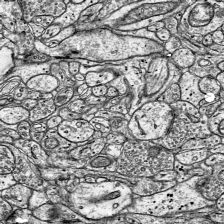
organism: Mouse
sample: Visual Cortex